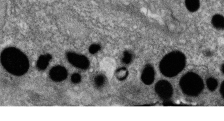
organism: Zebrafish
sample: Cilia; retinal pigment epithelium